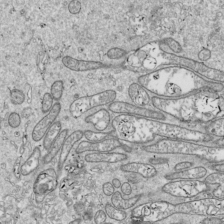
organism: Drosophila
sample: Cell division; meiosis; drosophila spermatocytes